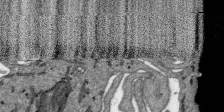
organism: Human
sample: Lung epithelial cells, uninfected (mock) control